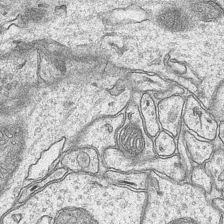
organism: Mouse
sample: CA1 Hippocampus